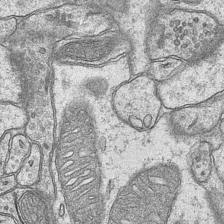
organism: Mouse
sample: CA1 Hippocampus